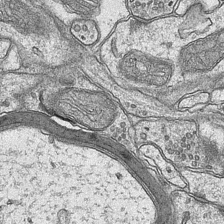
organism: Mouse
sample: CA1 Hippocampus